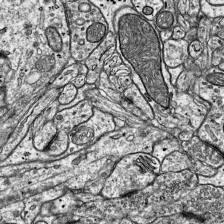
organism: Mouse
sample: Visual Cortex